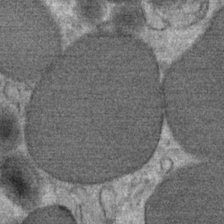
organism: Mouse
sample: Mouse Salivary gland